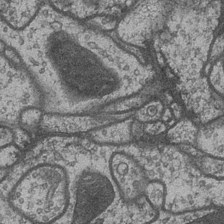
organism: Drosophila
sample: Optic medulla